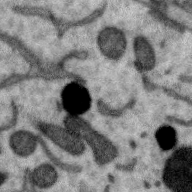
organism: Zebra finch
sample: Brain